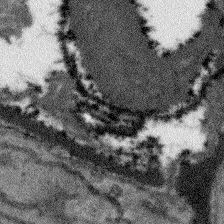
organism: Arabidopsis thaliana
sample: Root tip